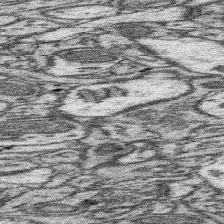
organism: Mouse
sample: Somatosensory cortex neuropil